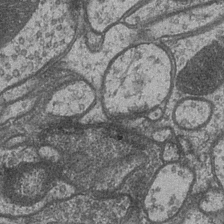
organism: Drosophila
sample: Optic medulla